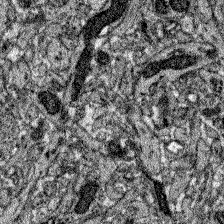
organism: Zebrafish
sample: Larval olfactory bulb